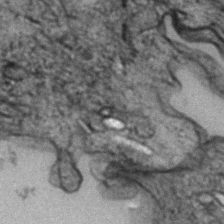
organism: Zebrafish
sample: Zebrafish embryo